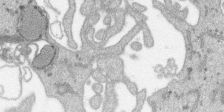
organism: Human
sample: Lung epithelial cells infected with SARS-CoV-2